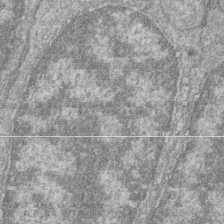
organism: Zebrafish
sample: Cilia; retinal pigment epithelium